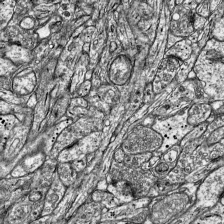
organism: Mouse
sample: Visual Cortex